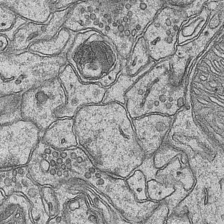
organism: Mouse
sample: CA1 Hippocampus